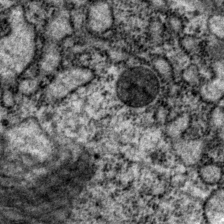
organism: P. pacificus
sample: Pharynx